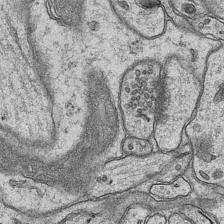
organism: Mouse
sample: CA1 Hippocampus